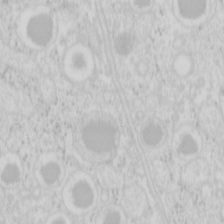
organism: Mouse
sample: Pancreas